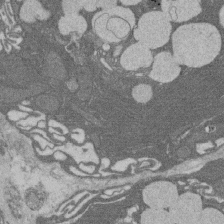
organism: Rat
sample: Salivary granule